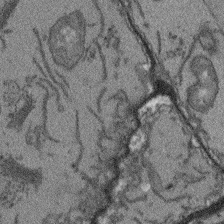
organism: Arabidopsis thaliana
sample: Root tip